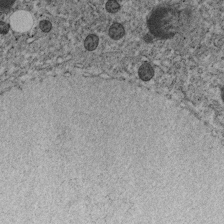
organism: C. elegans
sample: C. elegans embryo early stage